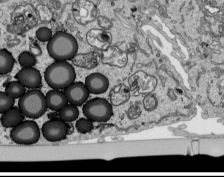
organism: Human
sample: Mitochondria in HCT116 cells